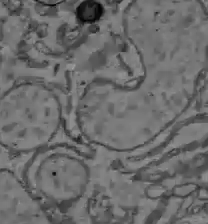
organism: C57BL Mouse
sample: Liver